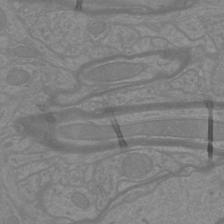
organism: Mouse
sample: Cortical neurons